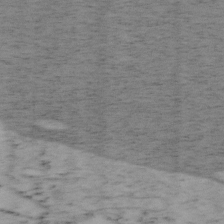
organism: Mouse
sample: OT-I killer T cells with ID8 ovarian cancer cells